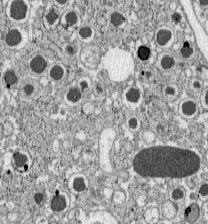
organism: C57BL Mouse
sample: Pancreatic islet